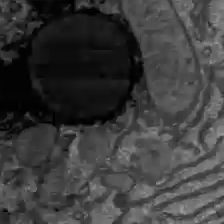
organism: C57BL Mouse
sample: Liver